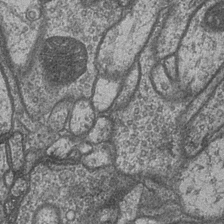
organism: Drosophila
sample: Optic medulla